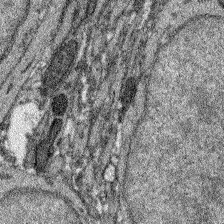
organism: Zebrafish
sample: Larval olfactory bulb